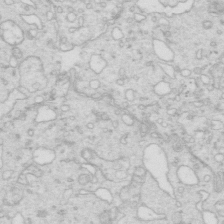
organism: Mouse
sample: Multiciliated cells